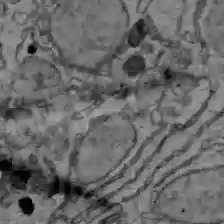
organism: C57BL Mouse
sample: Liver